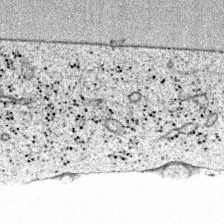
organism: Human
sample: HeLa cells